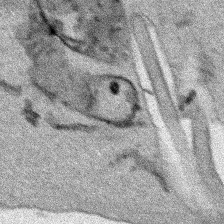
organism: Human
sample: Mitochondria in HCT116 cells